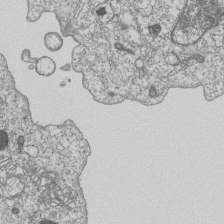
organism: Human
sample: MDA-MB-231 cells